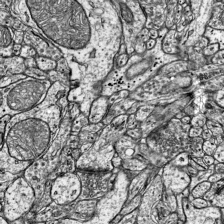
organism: Mouse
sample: Visual Cortex